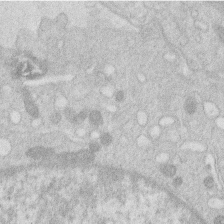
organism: Human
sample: Macrophage cells